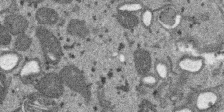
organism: Human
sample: Lung epithelial cells infected with SARS-CoV-2